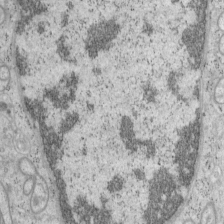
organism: Mouse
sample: OT-I killer T cells with ID8 ovarian cancer cells